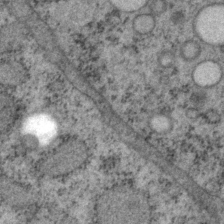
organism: P. pacificus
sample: Pharynx